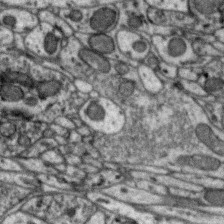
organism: Zebra finch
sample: Brain